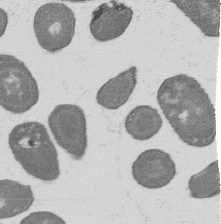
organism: B. subtilis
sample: Bacterial spore